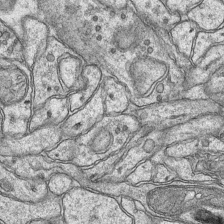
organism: Mouse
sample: CA1 Hippocampus